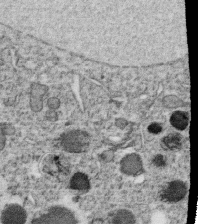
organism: C. elegans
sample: C. elegans oocyte; sperm cells